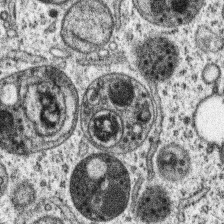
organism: Human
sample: HeLa cells